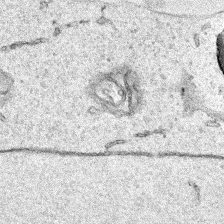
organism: Human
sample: Mitochondria in HCT116 cells